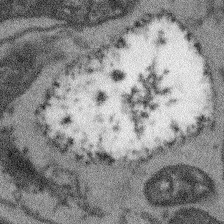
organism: Arabidopsis thaliana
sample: Root tip